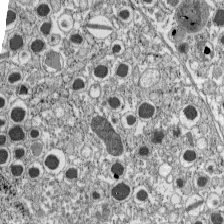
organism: C57BL Mouse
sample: Pancreatic islet